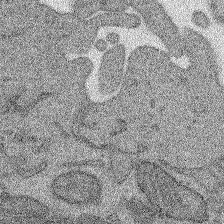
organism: Human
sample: HeLa cells